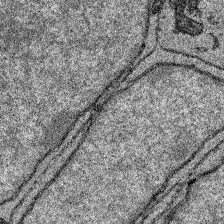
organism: Zebrafish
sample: Larval olfactory bulb